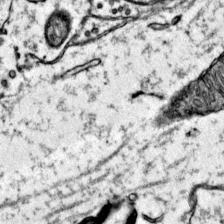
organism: Mouse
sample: Primary visual cortex